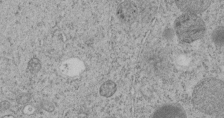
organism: C. elegans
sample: C. elegans embryo early stage